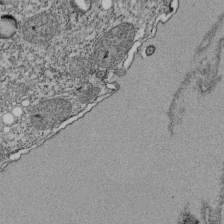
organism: Tetrahymena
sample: Cilia in tetrahymena